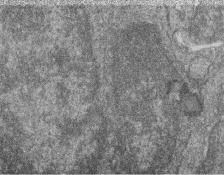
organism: Zebrafish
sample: Cilia; retinal pigment epithelium